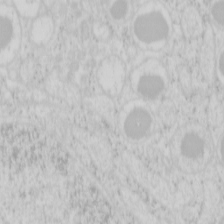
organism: Mouse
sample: Pancreas